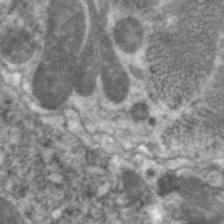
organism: C. elegans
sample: Pharynx